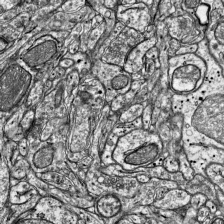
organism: Mouse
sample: Visual Cortex